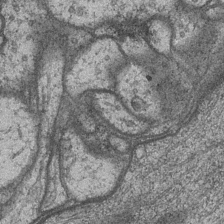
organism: Drosophila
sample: Optic medulla